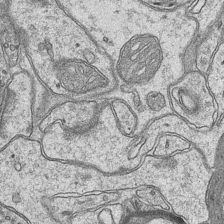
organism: Mouse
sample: CA1 Hippocampus